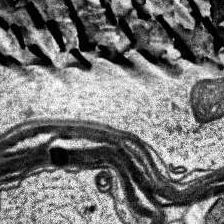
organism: Human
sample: Temporal Lobe